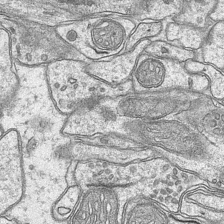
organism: Mouse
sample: CA1 Hippocampus